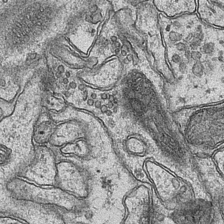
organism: Mouse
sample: CA1 Hippocampus